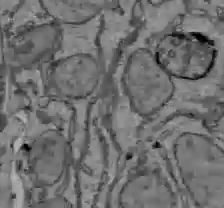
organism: C57BL Mouse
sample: Liver